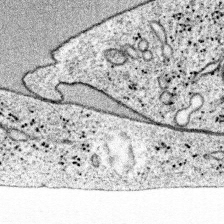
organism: Human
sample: HeLa cells